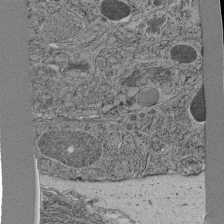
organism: C. elegans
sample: C. elegans pharynx